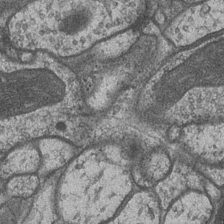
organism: Drosophila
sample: Optic medulla